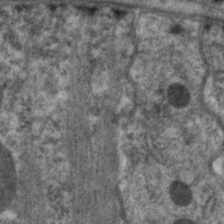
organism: C. elegans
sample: Pharynx